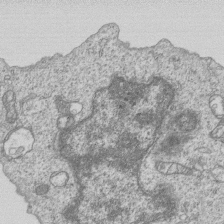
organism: Human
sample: MDA-MB-231 cells